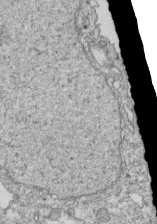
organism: Human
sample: HeLa cell HIV synapse